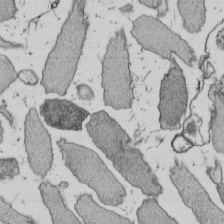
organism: E. coli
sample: Bacterial nucleoid